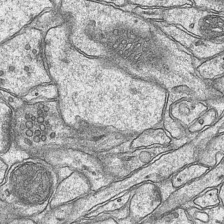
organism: Mouse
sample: CA1 Hippocampus